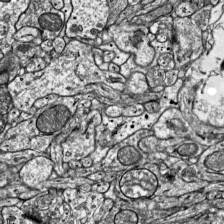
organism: Mouse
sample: Visual Cortex